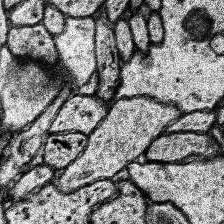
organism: Human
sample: Temporal Lobe